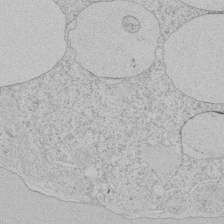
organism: Tetrahymena